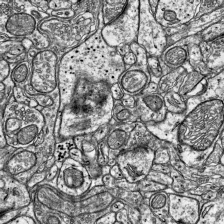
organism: Mouse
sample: Visual Cortex